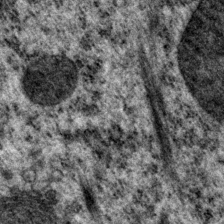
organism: P. pacificus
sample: Pharynx